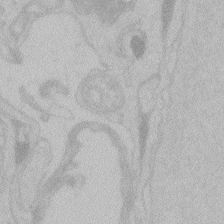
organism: Zebrafish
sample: Macrophage infected with Toxoplasma gondii